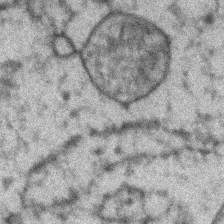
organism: Zebrafish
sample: Zebrafish embryo